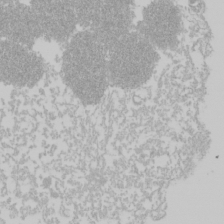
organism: Mouse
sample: Cancer cell death in ED-1 cells